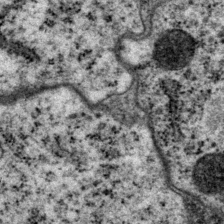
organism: P. pacificus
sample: Pharynx